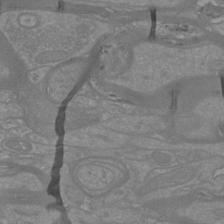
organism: Mouse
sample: Cortical neurons